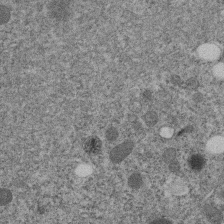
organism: C. elegans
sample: C. elegans embryo early stage